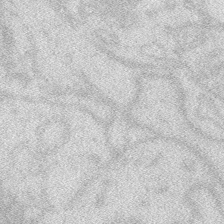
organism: Zebrafish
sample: Macrophage